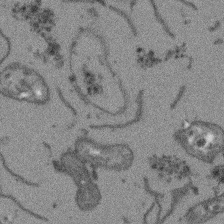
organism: Arabidopsis thaliana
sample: Root tip